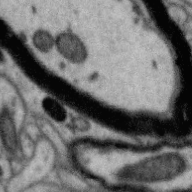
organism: Zebra finch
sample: Brain